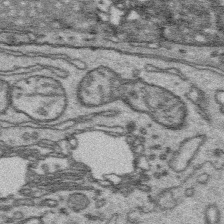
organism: Platynereis dumerilii